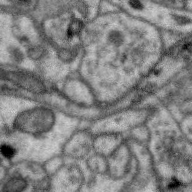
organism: Zebra finch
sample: Brain